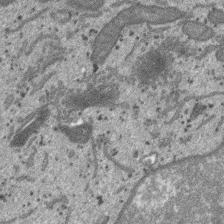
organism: Human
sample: Lung epithelial cells infected with SARS-CoV-2